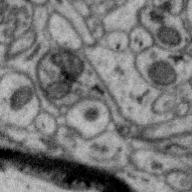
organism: Zebra finch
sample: Brain